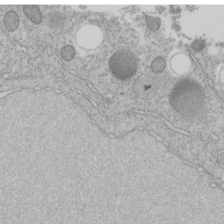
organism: C. elegans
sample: C. elegans embryo early stage